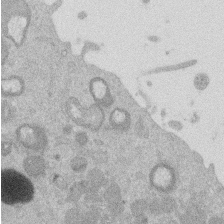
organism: Mouse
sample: Dividing mouse embryo 1 cell stage